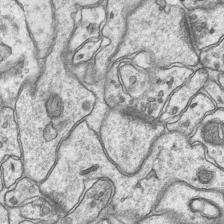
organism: Mouse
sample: CA1 Hippocampus